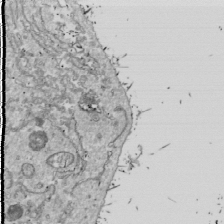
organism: Drosophila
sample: Cell division; meiosis; drosophila spermatocytes